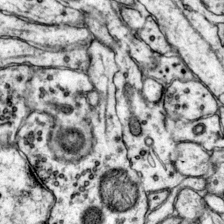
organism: Mouse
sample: Primary visual cortex